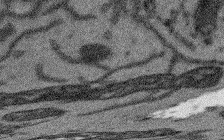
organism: Arabidopsis thaliana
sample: Root tip